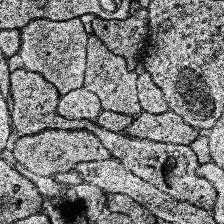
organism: Human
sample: Temporal Lobe